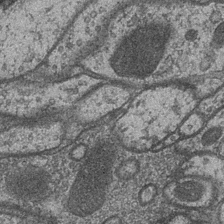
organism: Drosophila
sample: Optic medulla